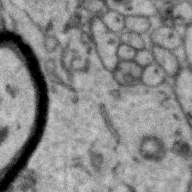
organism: Zebra finch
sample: Brain